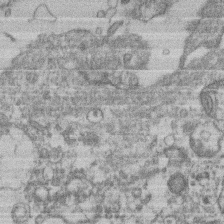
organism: Mouse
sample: T cell stromal cell synapse